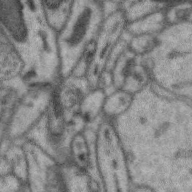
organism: Zebra finch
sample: Brain